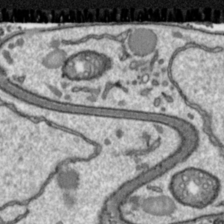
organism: Toxoplasma gondii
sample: Parasites in a vacuole inside a host cell